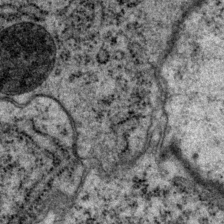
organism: P. pacificus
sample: Pharynx